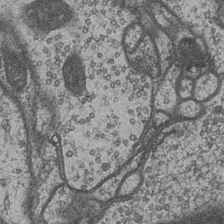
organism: Drosophila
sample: Optic medulla